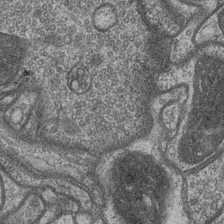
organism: Drosophila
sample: Optic medulla